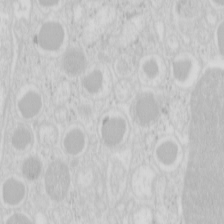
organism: Mouse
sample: Pancreas